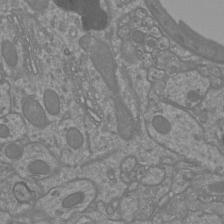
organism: Mouse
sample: Cortical neurons